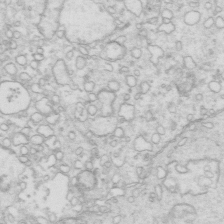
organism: Mouse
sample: Multiciliated cells